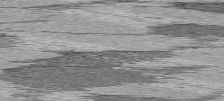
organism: C57BL Mouse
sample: Heart